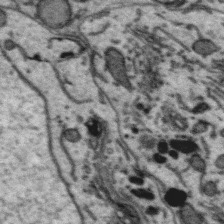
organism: Zebra finch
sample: Brain